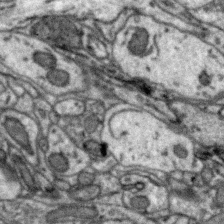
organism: Zebra finch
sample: Brain